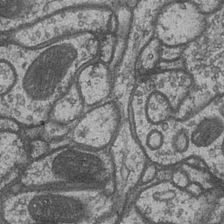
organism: Drosophila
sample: Optic medulla